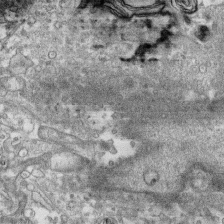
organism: Human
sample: CRL-1474